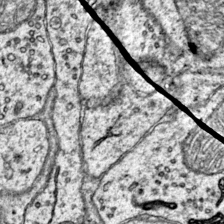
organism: Mouse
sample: Primary visual cortex